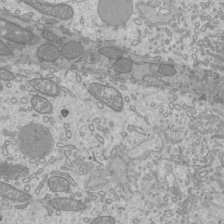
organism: Mouse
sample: Cilia; mouse epididymis